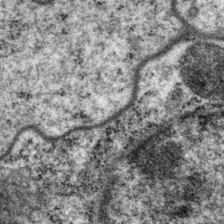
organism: P. pacificus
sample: Pharynx